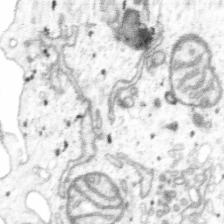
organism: Human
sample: HeLa cells